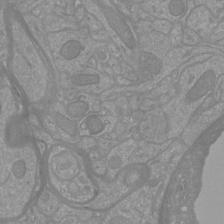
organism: Mouse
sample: Cortical neurons